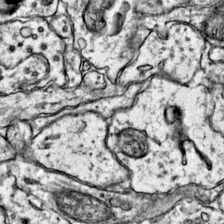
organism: Mouse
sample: Primary visual cortex